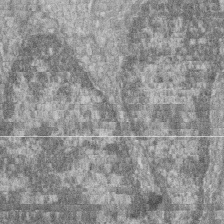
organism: Zebrafish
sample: Cilia; retinal pigment epithelium